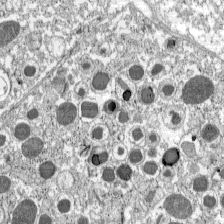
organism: C57BL Mouse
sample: Pancreatic islet